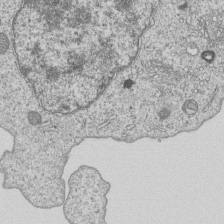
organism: Human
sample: MDA-MB-231 cells